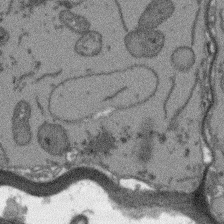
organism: Arabidopsis thaliana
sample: Root tip